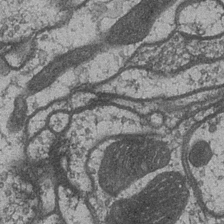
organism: Drosophila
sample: Optic medulla